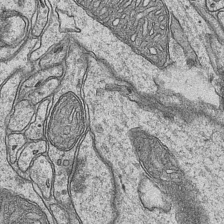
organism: Mouse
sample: CA1 Hippocampus